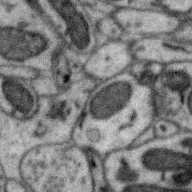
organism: Zebra finch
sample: Brain